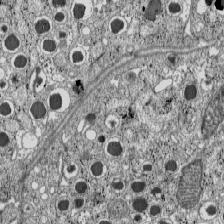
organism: C57BL Mouse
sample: Pancreatic islet